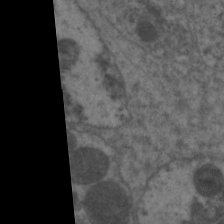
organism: C. elegans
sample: Pharynx